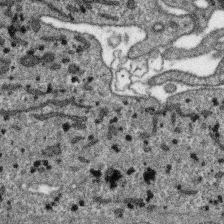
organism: Human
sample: Lung epithelial cells infected with SARS-CoV-2